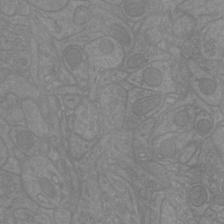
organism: Mouse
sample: Cortical neurons